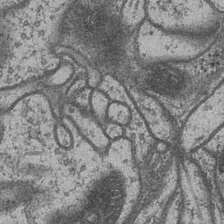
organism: Drosophila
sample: Optic medulla